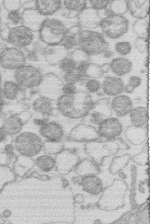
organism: Human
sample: Macrophage cells